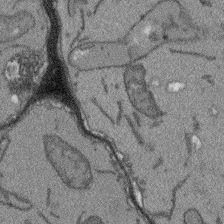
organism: Arabidopsis thaliana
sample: Root tip